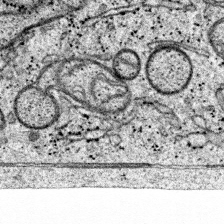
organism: Human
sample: HeLa cells